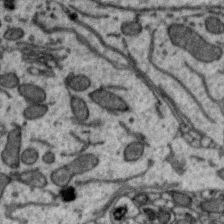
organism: Zebra finch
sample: Brain